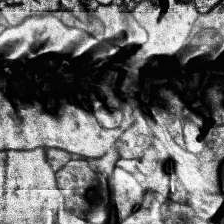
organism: Human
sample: Temporal Lobe